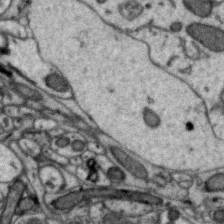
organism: Zebra finch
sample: Brain